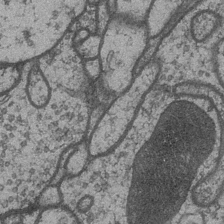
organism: Drosophila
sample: Optic medulla